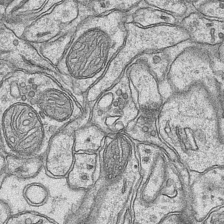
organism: Mouse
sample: CA1 Hippocampus